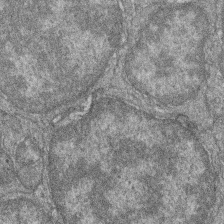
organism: Zebrafish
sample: Cilia; retinal pigment epithelium